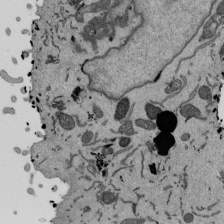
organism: Mouse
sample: ED-1 cell nuclei; centrioles